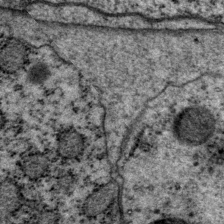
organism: P. pacificus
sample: Pharynx